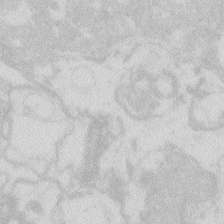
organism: Zebrafish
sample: Macrophage